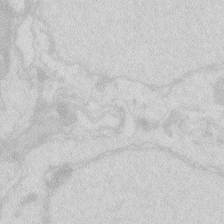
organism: Zebrafish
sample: Macrophage